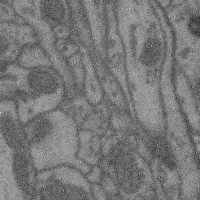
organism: Mouse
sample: Cerebral cortex